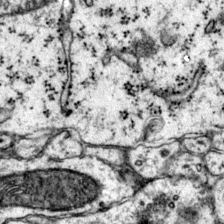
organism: Mouse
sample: Primary visual cortex